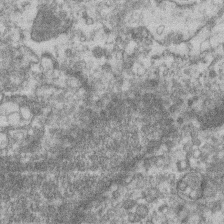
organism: Mouse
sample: T cell stromal cell synapse